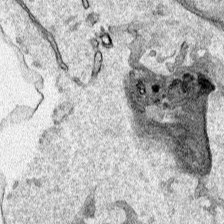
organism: Human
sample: Mitochondria in HCT116 cells